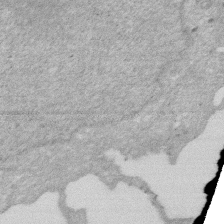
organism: Human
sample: HIV infected U937 cells